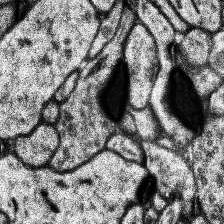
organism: Human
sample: Temporal Lobe